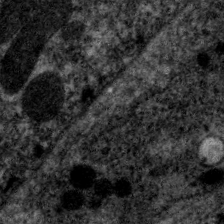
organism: C. elegans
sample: Pharynx